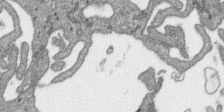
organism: Human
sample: Lung epithelial cells infected with SARS-CoV-2